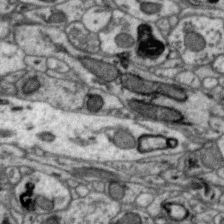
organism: Zebra finch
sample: Brain